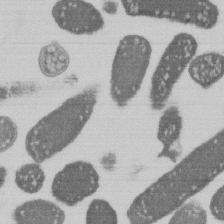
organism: E. coli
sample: Bacterial nucleoid